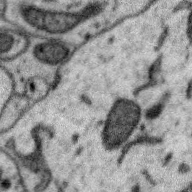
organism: Zebra finch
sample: Brain